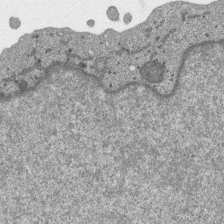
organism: Human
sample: Lung epithelial cells infected with SARS-CoV-2